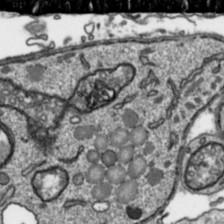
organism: Toxoplasma gondii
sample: Parasites in a vacuole inside a host cell